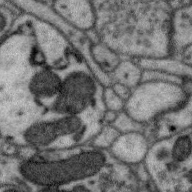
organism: Zebra finch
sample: Brain